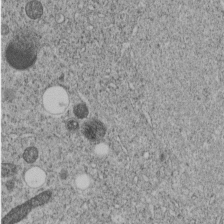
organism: C. elegans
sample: C. elegans embryo early stage